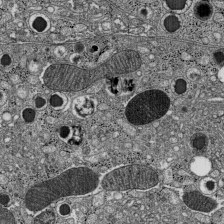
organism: C57BL Mouse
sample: Pancreatic islet